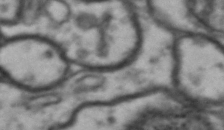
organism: Drosophila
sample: Brain